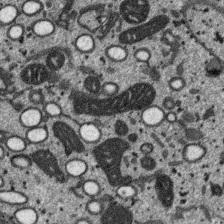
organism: Human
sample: Lung epithelial cells infected with SARS-CoV-2